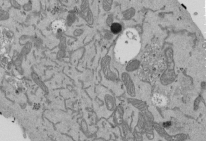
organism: Mouse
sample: ED-1 cell nuclei; centrioles